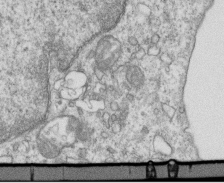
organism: Mouse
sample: Activated OT-1 CD8+ T cells